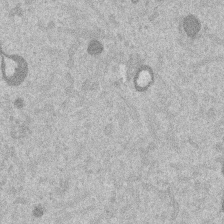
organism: Mouse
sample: Dividing mouse embryo 1 cell stage